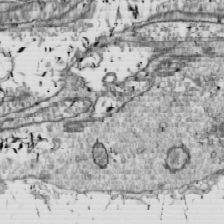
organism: Drosophila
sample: Cell division; meiosis; drosophila spermatocytes